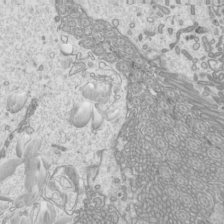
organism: Mouse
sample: Cilia; mouse epididymis